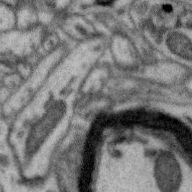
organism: Zebra finch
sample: Brain